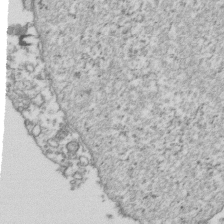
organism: Human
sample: Activated Jurkat CD4+ T cells